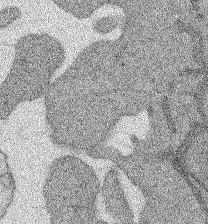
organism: Human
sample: HeLa cells